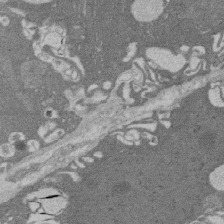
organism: Rat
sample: Salivary granule